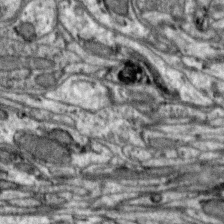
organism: Zebra finch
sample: Brain